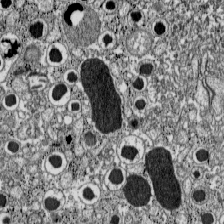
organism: C57BL Mouse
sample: Pancreatic islet